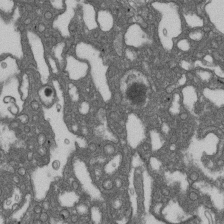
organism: Drosophila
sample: Nephrocyte